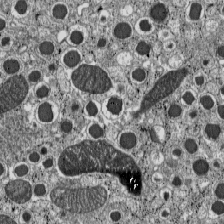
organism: C57BL Mouse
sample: Pancreatic islet